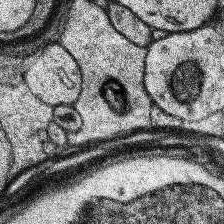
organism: Human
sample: Temporal Lobe